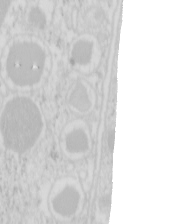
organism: Mouse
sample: Pancreas